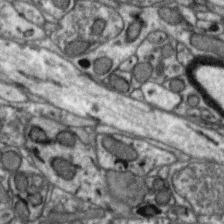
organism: Zebra finch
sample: Brain